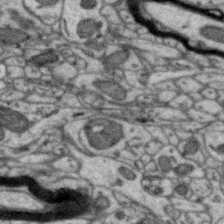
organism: Zebra finch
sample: Brain